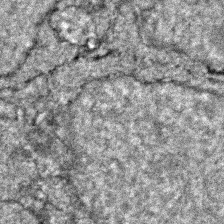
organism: Zebrafish